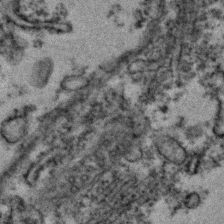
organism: Zebrafish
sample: Zebrafish embryo